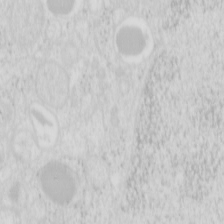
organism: Mouse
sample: Pancreas